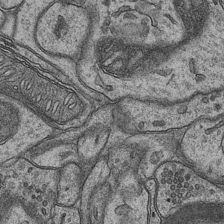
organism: Mouse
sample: CA1 Hippocampus